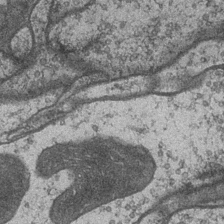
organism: Drosophila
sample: Optic medulla